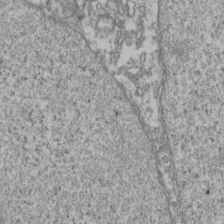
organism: Human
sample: Activated Jurkat CD4+ T cells